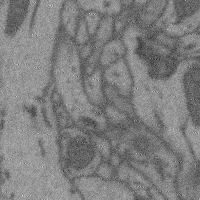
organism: Mouse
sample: Cerebral cortex